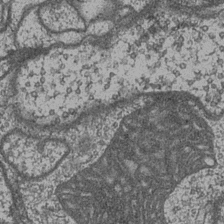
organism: Drosophila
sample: Optic medulla